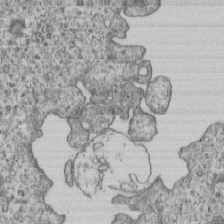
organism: Human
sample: MDA-MB-231 cells